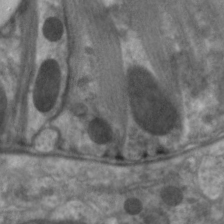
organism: C. elegans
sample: Pharynx